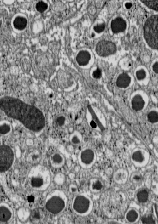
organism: C57BL Mouse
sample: Pancreatic islet